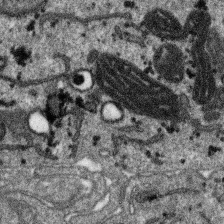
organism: Human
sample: Lung epithelial cells infected with SARS-CoV-2